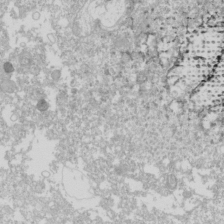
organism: Drosophila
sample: Cell division; meiosis; drosophila spermatocytes